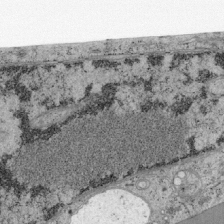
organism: Human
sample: HeLa cells